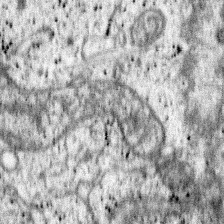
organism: Human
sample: HeLa cells